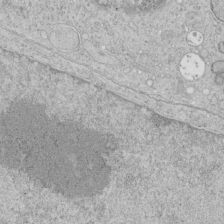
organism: Human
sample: Mitochondria in HCT116 cells